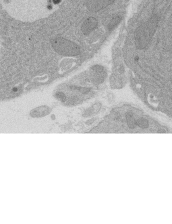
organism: Rat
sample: Salivary granule